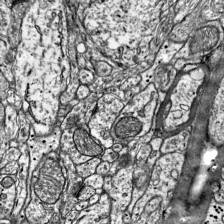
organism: Mouse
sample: Visual Cortex